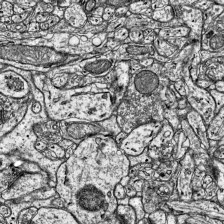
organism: Mouse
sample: Visual Cortex